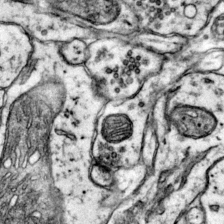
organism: Mouse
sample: Primary visual cortex